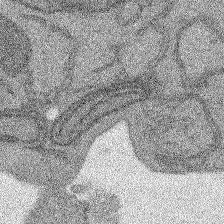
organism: Human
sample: HeLa cells